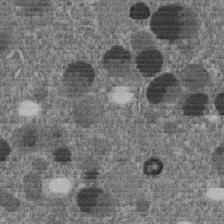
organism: C. elegans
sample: C. elegans embryo early stage